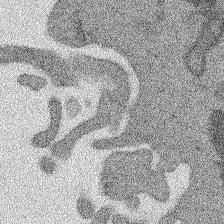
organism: Human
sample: HeLa cells